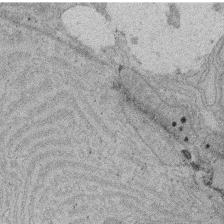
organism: Rat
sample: Salivary granule